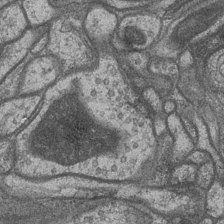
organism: Drosophila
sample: Optic medulla